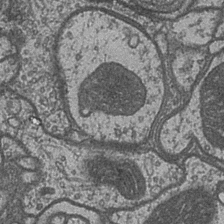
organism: Drosophila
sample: Optic medulla